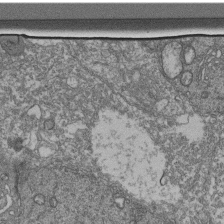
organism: Human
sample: Retinal organoid Rod and Cone cells